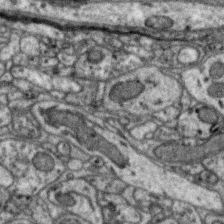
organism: Zebra finch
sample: Brain